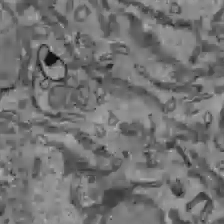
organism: C57BL Mouse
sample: Liver